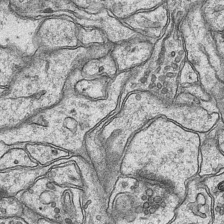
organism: Mouse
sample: CA1 Hippocampus